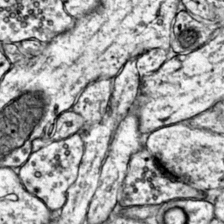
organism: Mouse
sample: Primary visual cortex